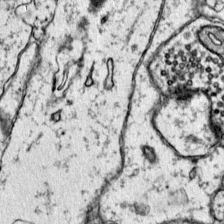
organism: Mouse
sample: Primary visual cortex